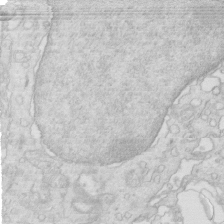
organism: Mouse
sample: Multiciliated cells